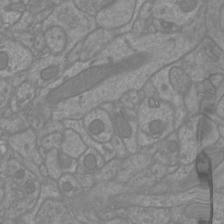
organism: Mouse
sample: Cortical neurons